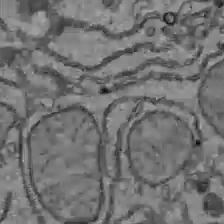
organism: C57BL Mouse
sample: Liver